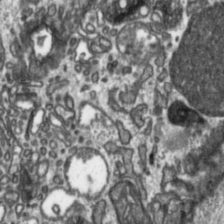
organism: Toxoplasma gondii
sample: Parasites in a vacuole inside a host cell